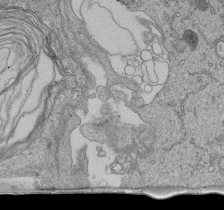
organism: Human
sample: Retinal organoid Rod and Cone cells